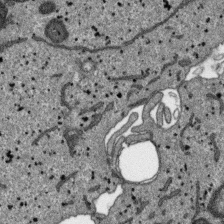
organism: Human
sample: Lung epithelial cells, uninfected (mock) control